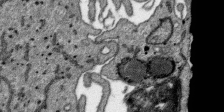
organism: Human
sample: Lung epithelial cells, uninfected (mock) control